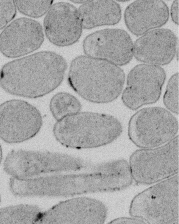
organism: E. coli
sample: Bacterial nucleoid